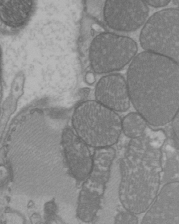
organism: C57BL Mouse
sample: Heart